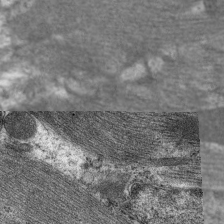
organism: C. elegans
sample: Pharynx